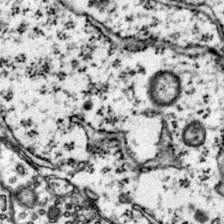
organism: Mouse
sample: Primary visual cortex